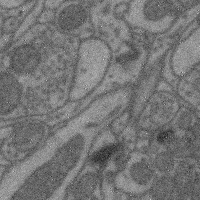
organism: Mouse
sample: Cerebral cortex